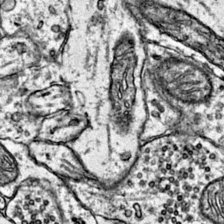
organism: Mouse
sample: Primary visual cortex